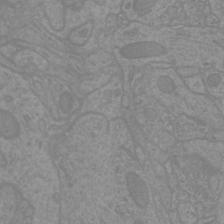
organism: Mouse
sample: Cortical neurons